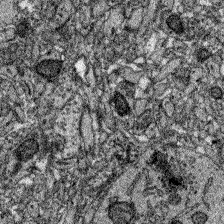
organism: Zebrafish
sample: Larval olfactory bulb